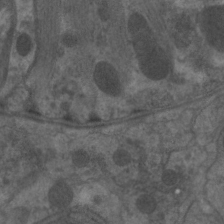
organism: C. elegans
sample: Pharynx